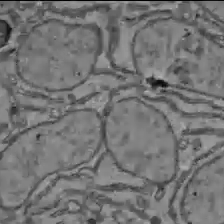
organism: C57BL Mouse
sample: Liver